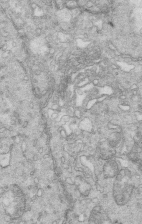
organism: Mouse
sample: Multiciliated cells